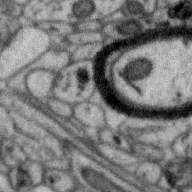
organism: Zebra finch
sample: Brain